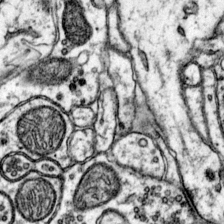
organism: Mouse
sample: Primary visual cortex